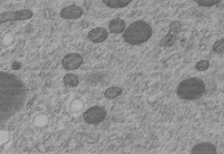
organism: C. elegans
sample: C. elegans embryo early stage